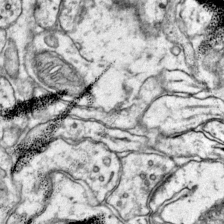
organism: Mouse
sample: Primary visual cortex